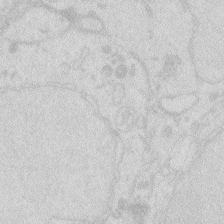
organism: Zebrafish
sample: Macrophage